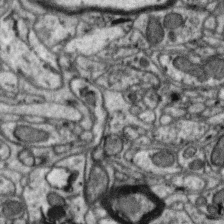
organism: Zebra finch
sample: Brain